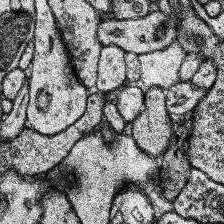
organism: Human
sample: Temporal Lobe